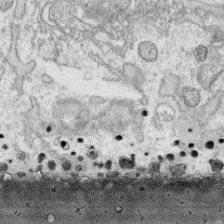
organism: Human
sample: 1205lu cells